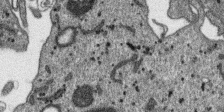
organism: Human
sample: Lung epithelial cells infected with SARS-CoV-2